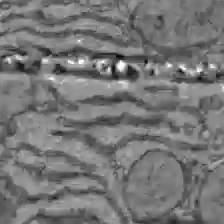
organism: C57BL Mouse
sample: Liver